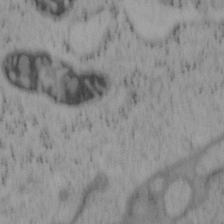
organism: Mouse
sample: OT-I killer T cells with ID8 ovarian cancer cells